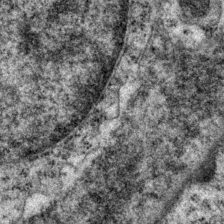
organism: P. pacificus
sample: Pharynx